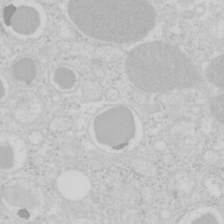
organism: Mouse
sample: Pancreas